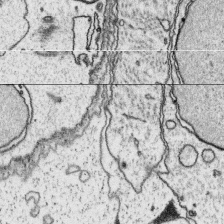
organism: Platynereis dumerilii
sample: Parapodia